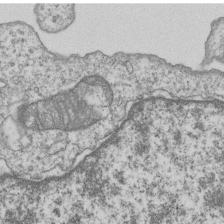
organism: Human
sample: MDA-MB-231 cells